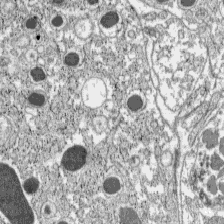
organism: C57BL Mouse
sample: Pancreatic islet